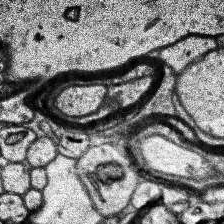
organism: Human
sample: Temporal Lobe